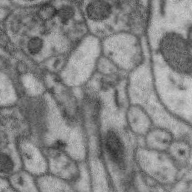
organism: Zebra finch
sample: Brain